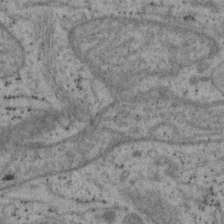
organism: Human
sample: HeLa cells